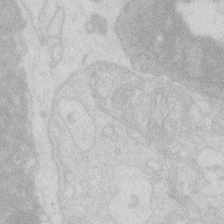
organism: Zebrafish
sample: Macrophage